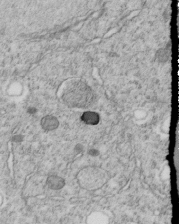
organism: C. elegans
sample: C. elegans embryo early stage